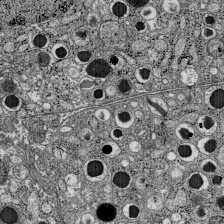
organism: C57BL Mouse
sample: Pancreatic islet